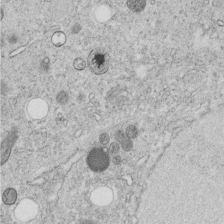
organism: C. elegans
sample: C. elegans embryo early stage